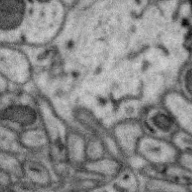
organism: Zebra finch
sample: Brain